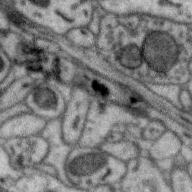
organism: Zebra finch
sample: Brain